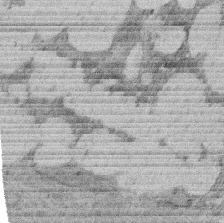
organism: Rat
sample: Salivary granule